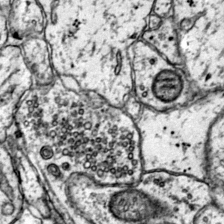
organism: Mouse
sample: Primary visual cortex